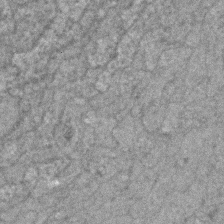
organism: Zebrafish